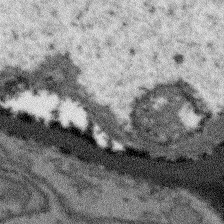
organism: Arabidopsis thaliana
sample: Root tip